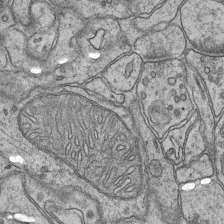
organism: Mouse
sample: CA1 Hippocampus